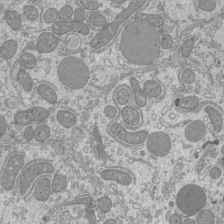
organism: Mouse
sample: Cilia; mouse epididymis